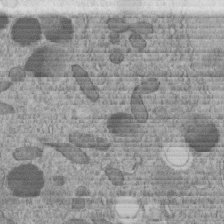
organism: C. elegans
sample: C. elegans embryo early stage